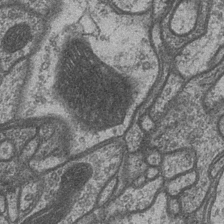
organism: Drosophila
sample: Optic medulla